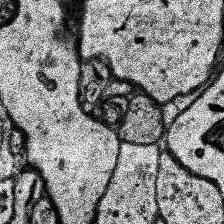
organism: Human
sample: Temporal Lobe